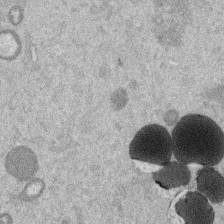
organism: Mouse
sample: Dividing mouse embryo 1 cell stage